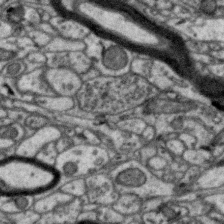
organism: Zebra finch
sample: Brain